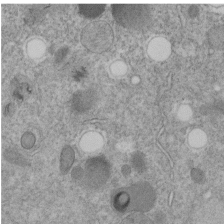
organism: C. elegans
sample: C. elegans embryo early stage